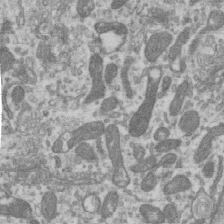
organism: Human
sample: Centriole in RPE cells